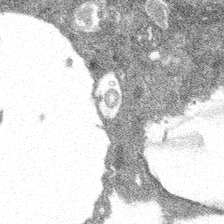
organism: Spongilla lacustris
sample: Multiple